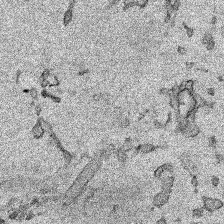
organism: Human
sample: Mitochondria in HCT116 cells